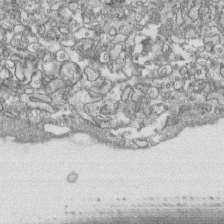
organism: Human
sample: CRL-1474